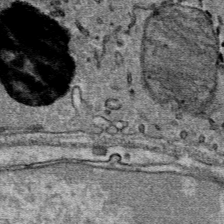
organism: Mouse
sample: Mouse Salivary gland